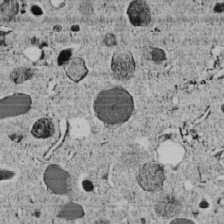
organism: C. elegans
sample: C. elegans embryo early stage